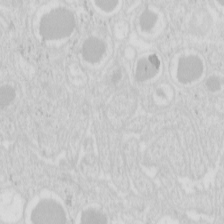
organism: Mouse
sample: Pancreas